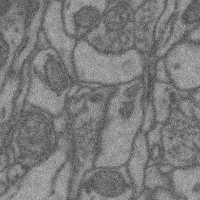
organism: Mouse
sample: Cerebral cortex